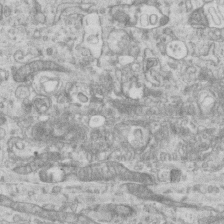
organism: Mouse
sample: Centriole in ependymal cells